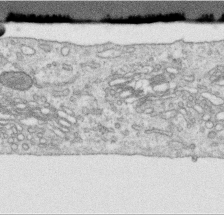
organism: Human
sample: Centriole in RPE cells